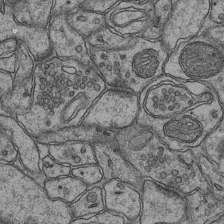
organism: Mouse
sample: CA1 Hippocampus